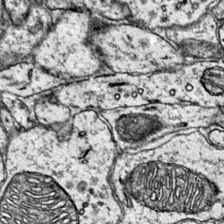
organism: Mouse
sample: Primary visual cortex